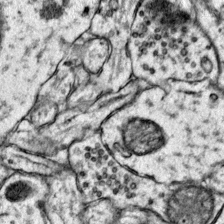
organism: Mouse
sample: Primary visual cortex